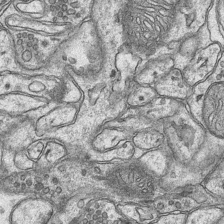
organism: Mouse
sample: CA1 Hippocampus